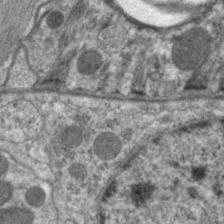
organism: C. elegans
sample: Pharynx